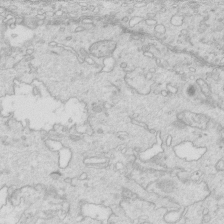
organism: Mouse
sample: Multiciliated cells